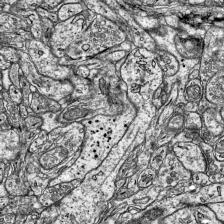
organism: Mouse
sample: Visual Cortex